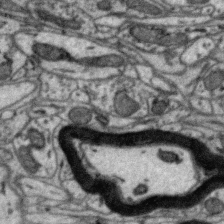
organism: Zebra finch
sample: Brain